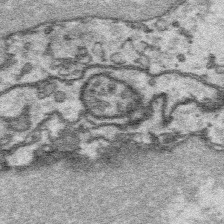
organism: Platynereis dumerilii